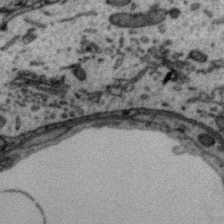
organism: Zebra finch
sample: Brain